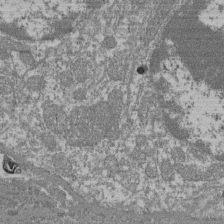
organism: Mouse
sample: Glomerulus